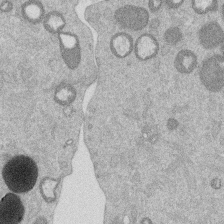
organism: Mouse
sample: Dividing mouse embryo 1 cell stage